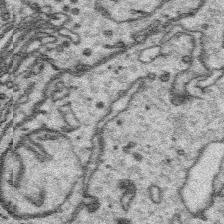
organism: Platynereis dumerilii